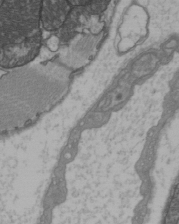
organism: C57BL Mouse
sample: Heart